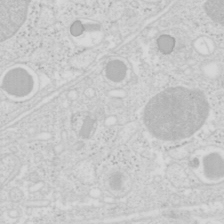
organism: Mouse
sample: Pancreas